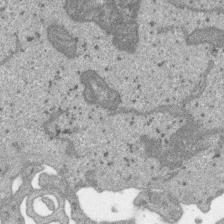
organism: Human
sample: Lung epithelial cells infected with SARS-CoV-2